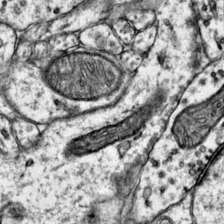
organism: Mouse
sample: Primary visual cortex